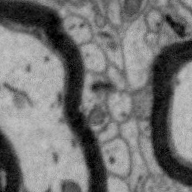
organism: Zebra finch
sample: Brain